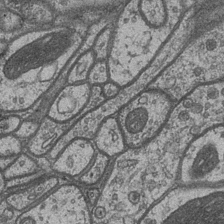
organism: Drosophila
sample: Optic medulla